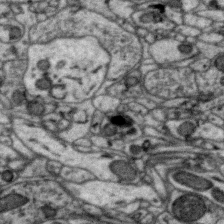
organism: Zebra finch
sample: Brain